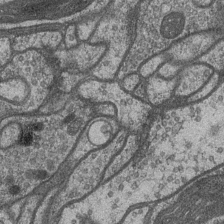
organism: Drosophila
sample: Optic medulla